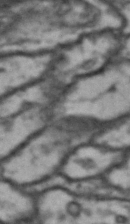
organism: Drosophila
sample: Brain